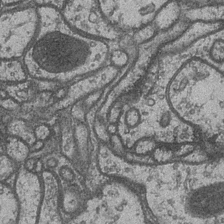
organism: Drosophila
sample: Optic medulla